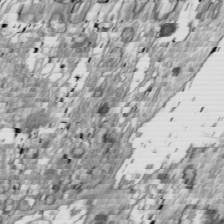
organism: Drosophila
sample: Cell division; meiosis; drosophila spermatocytes